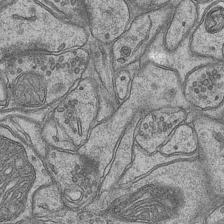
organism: Mouse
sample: CA1 Hippocampus